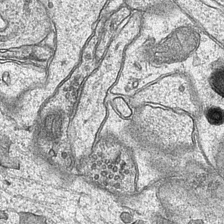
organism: Mouse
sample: CA1 Hippocampus